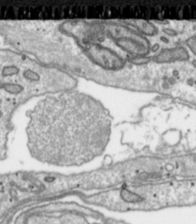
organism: Toxoplasma gondii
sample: Parasites in a vacuole inside a host cell